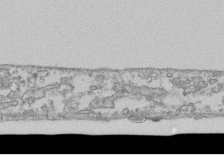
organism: Human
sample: Fibroblast cells